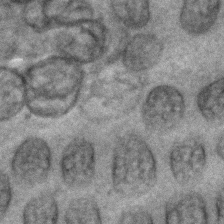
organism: C. elegans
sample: C. elegans embryo